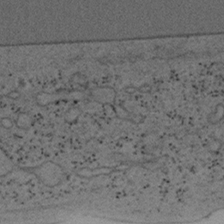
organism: Human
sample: HeLa cells